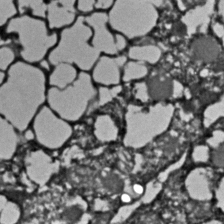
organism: C. elegans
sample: C. elegans embryo